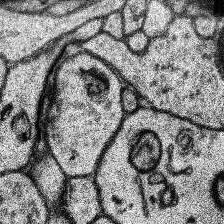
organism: Human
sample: Temporal Lobe